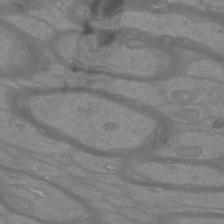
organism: Mouse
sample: Cortical neurons